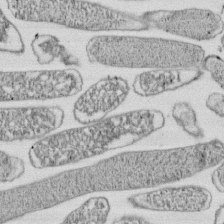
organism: E. coli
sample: Bacterial nucleoid